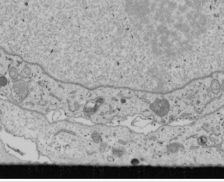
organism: Human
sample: Mitochondria in U2OS cells